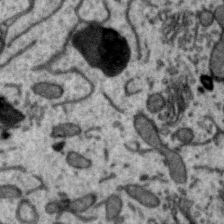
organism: Zebra finch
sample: Brain